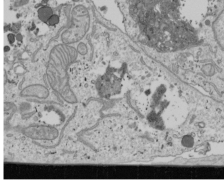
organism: Human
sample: Mitochondria in U2OS cells